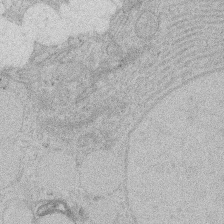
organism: Rat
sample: Salivary granule